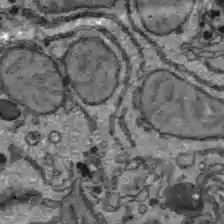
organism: C57BL Mouse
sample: Liver